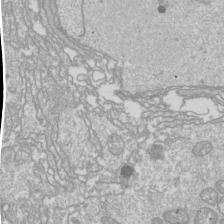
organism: Drosophila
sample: Cell division; meiosis; drosophila spermatocytes